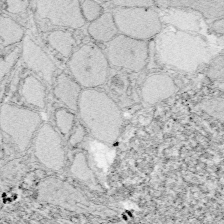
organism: Zebrafish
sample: Whole-Brain